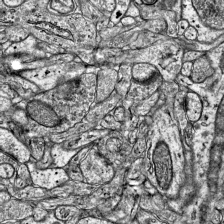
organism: Mouse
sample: Visual Cortex